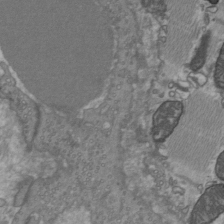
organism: C57BL Mouse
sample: Heart